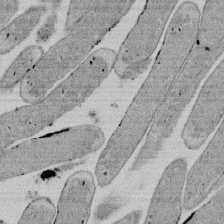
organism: E. coli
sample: Bacterial nucleoid